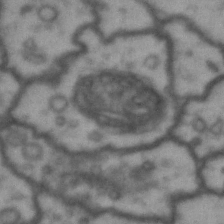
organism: Drosophila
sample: Brain